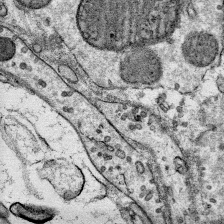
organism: Mouse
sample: Mouse Salivary gland